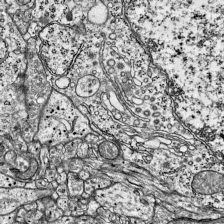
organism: Mouse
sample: Visual Cortex